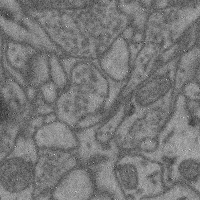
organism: Mouse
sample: Cerebral cortex